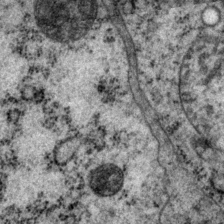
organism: P. pacificus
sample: Pharynx